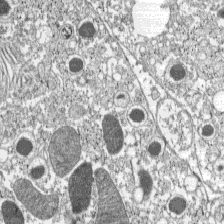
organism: C57BL Mouse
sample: Pancreatic islet